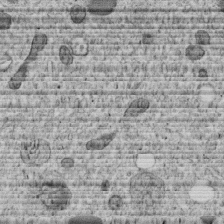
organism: C. elegans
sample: C. elegans embryo early stage